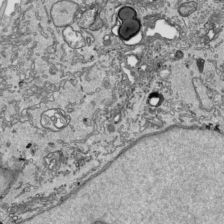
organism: Human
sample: Mitochondria in HCT116 cells